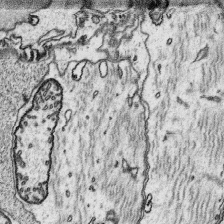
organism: Platynereis dumerilii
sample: Parapodia